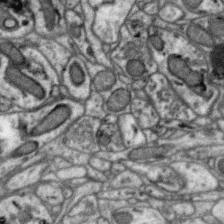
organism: Zebra finch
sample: Brain